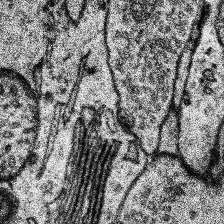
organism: Human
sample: Temporal Lobe